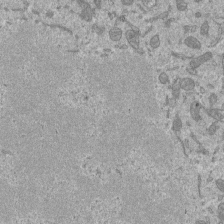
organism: Mouse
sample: ED-1 cell nuclei; centrioles